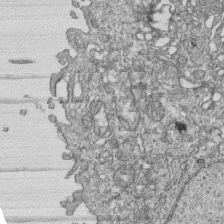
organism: Human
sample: HeLa cell HIV synapse